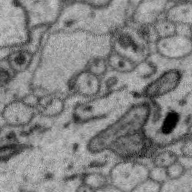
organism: Zebra finch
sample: Brain